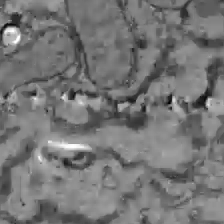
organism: C57BL Mouse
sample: Liver